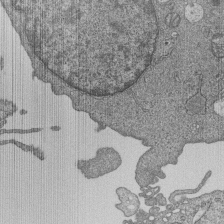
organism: Human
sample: MDA-MB-231 cells